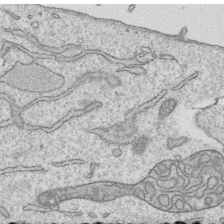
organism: Human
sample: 1205lu cells